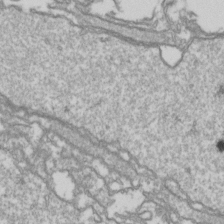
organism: Drosophila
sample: Cell division; meiosis; drosophila spermatocytes